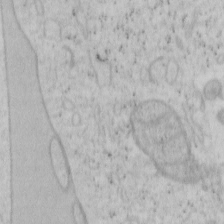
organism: Human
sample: HeLa cells